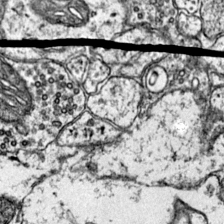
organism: Mouse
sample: Primary visual cortex